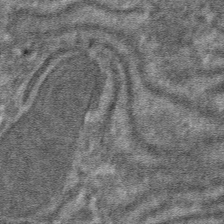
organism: Mouse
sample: Mouse hepatocytes